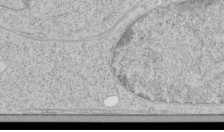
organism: Human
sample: Mitochondria in HCT116 cells